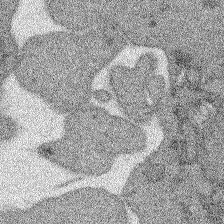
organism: Human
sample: HeLa cells